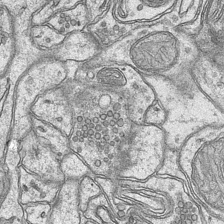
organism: Mouse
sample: CA1 Hippocampus